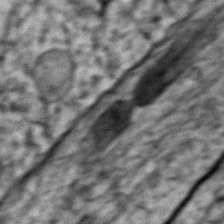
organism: Zebrafish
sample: Zebrafish embryo